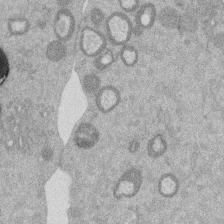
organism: Mouse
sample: Dividing mouse embryo 1 cell stage